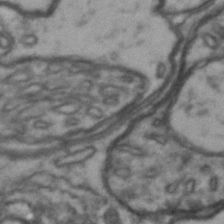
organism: Drosophila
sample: Brain